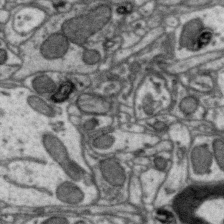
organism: Zebra finch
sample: Brain